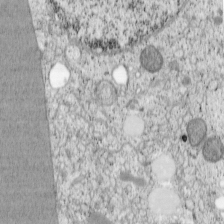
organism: African green monkey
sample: COS-7 cells